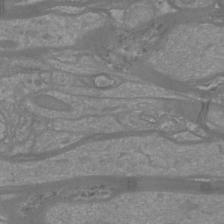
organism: Mouse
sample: Cortical neurons